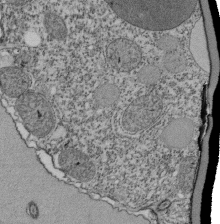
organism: Tetrahymena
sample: Cilia in tetrahymena